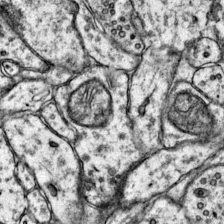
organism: Mouse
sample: Primary visual cortex